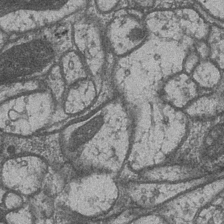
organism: Drosophila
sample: Optic medulla